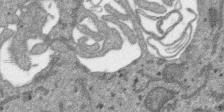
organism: Human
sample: Lung epithelial cells infected with SARS-CoV-2